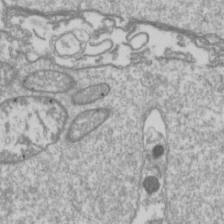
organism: Drosophila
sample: Cell division; meiosis; drosophila spermatocytes